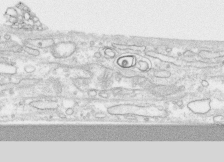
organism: Human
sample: CRL-1474